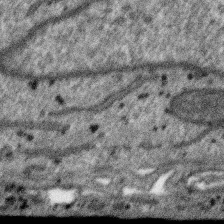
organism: Human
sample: Lung epithelial cells infected with SARS-CoV-2